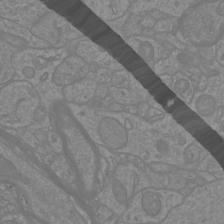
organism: Mouse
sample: Cortical neurons